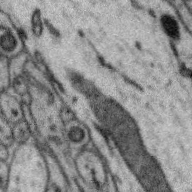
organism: Zebra finch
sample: Brain